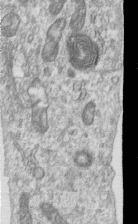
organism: Human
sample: Centriole in RPE cells